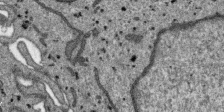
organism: Human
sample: Lung epithelial cells, uninfected (mock) control